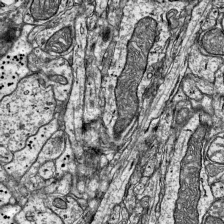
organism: Mouse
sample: Visual Cortex